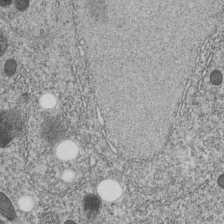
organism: C. elegans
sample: C. elegans embryo early stage